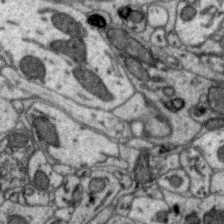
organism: Zebra finch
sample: Brain